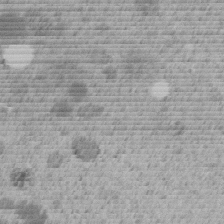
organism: C. elegans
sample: C. elegans embryo early stage